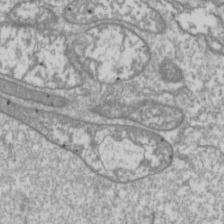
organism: Drosophila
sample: Cell division; meiosis; drosophila spermatocytes